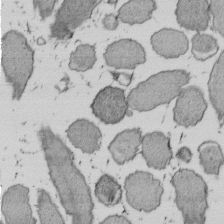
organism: E. coli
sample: Bacterial nucleoid